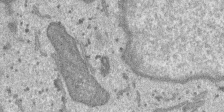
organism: Human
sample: Lung epithelial cells infected with SARS-CoV-2